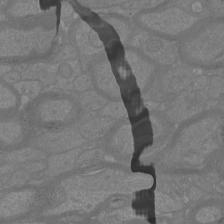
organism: Mouse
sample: Cortical neurons